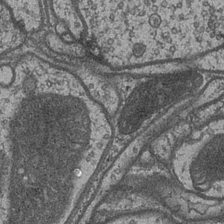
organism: Drosophila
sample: Optic medulla